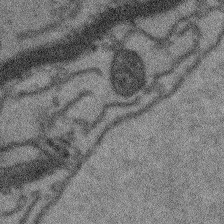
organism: Arabidopsis thaliana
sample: Root tip